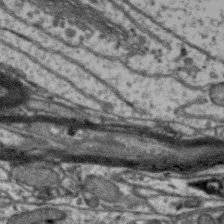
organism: Zebra finch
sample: Brain